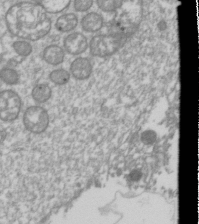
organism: Drosophila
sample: Cell division; meiosis; drosophila spermatocytes